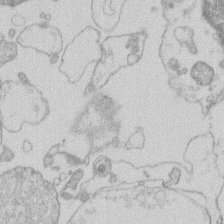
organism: Human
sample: Macrophage cells